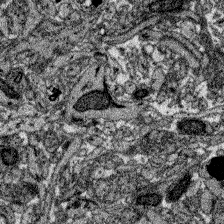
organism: Zebrafish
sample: Larval olfactory bulb